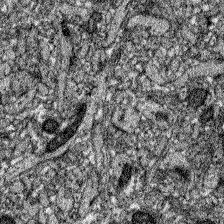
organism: Zebrafish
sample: Larval olfactory bulb